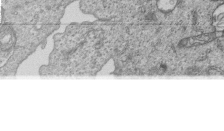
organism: Human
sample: MDA-MB-231 cells